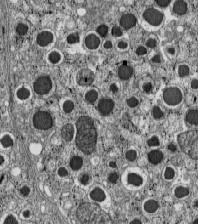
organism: C57BL Mouse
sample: Pancreatic islet